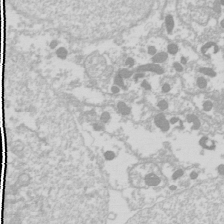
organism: Drosophila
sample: Cell division; meiosis; drosophila spermatocytes